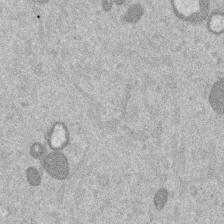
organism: Mouse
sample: Dividing mouse embryo 1 cell stage